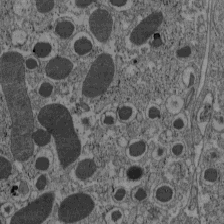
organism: C57BL Mouse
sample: Pancreatic islet